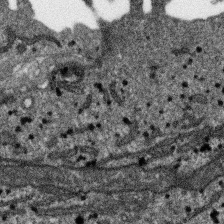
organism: Human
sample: Lung epithelial cells infected with SARS-CoV-2